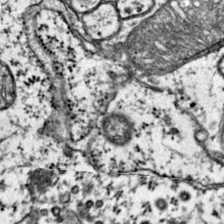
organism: Mouse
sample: Primary visual cortex